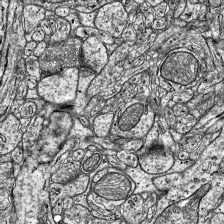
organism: Mouse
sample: Visual Cortex